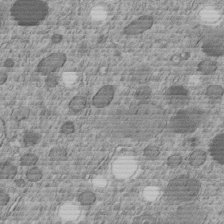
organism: C. elegans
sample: C. elegans embryo early stage